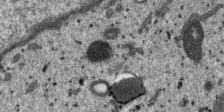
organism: Human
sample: Lung epithelial cells infected with SARS-CoV-2